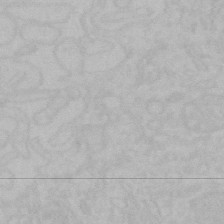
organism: Mouse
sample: Choroid plexus